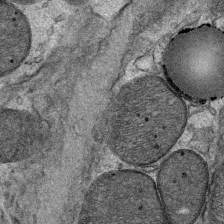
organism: Mouse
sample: Mouse Salivary gland